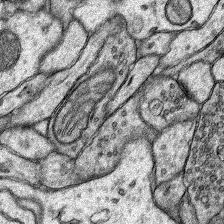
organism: Rat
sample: Hippocampus